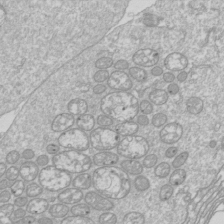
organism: Drosophila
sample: Cell division; meiosis; drosophila spermatocytes